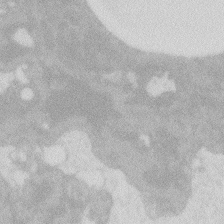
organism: Zebrafish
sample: Macrophage